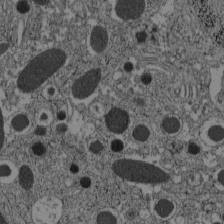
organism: C57BL Mouse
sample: Pancreatic islet